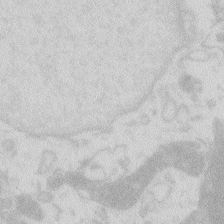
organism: Zebrafish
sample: Macrophage